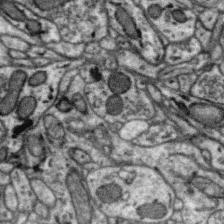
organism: Zebra finch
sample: Brain